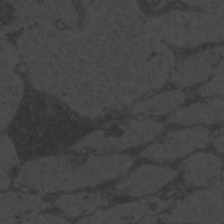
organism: Zebrafish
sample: Macrophage infected with Toxoplasma gondii